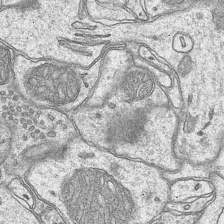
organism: Mouse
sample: CA1 Hippocampus